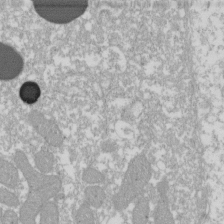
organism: Xenopus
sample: Cilia; centrioles in frog embryo cells